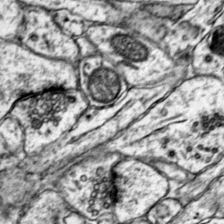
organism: Mouse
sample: Primary visual cortex